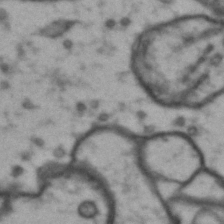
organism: Drosophila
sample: Brain